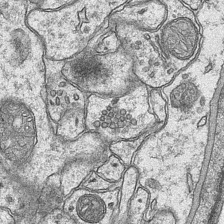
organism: Mouse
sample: CA1 Hippocampus